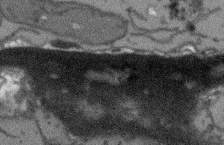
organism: Arabidopsis thaliana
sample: Root tip